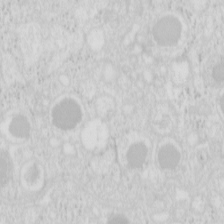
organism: Mouse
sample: Pancreas